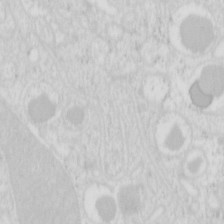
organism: Mouse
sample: Pancreas